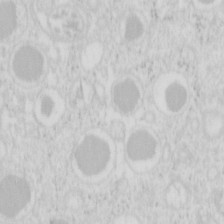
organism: Mouse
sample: Pancreas